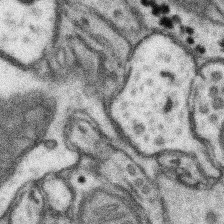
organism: Mouse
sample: Somatosensory cortex neuropil